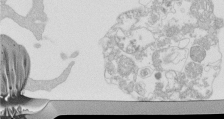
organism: Mouse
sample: Activated Pmel transgenic CD8+ T Cells